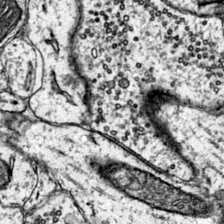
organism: Mouse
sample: Primary visual cortex